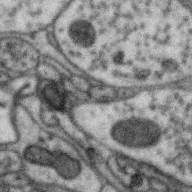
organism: Zebra finch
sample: Brain